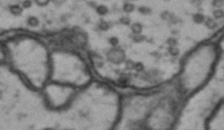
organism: Drosophila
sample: Brain